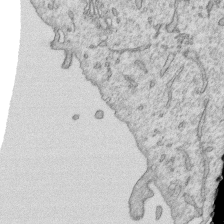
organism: Human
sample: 1205lu cells